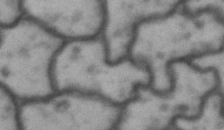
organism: Drosophila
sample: Brain